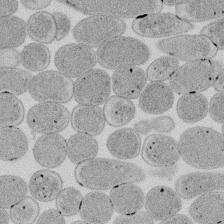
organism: E. coli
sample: Bacterial nucleoid